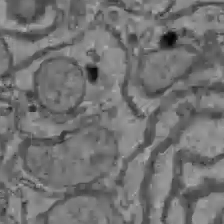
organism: C57BL Mouse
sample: Liver